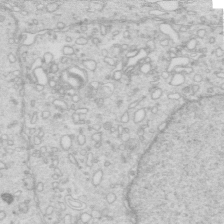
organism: Mouse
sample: Multiciliated cells